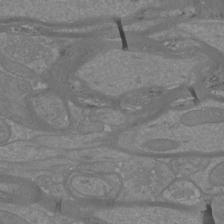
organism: Mouse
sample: Cortical neurons